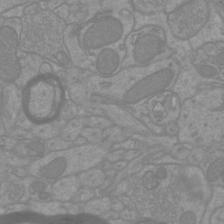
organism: Mouse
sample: Cortical neurons